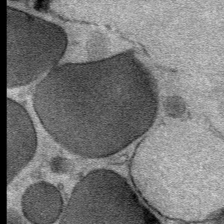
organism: Mouse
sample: Mouse Salivary gland